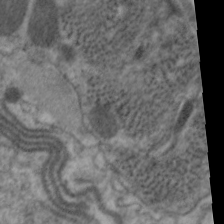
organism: C. elegans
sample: Pharynx